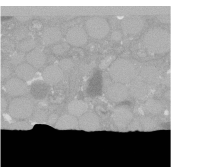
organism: C. elegans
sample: C. elegans oocyte; sperm cells